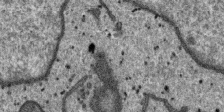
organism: Human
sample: Lung epithelial cells, uninfected (mock) control